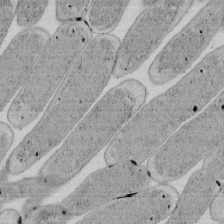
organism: E. coli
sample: Bacterial nucleoid